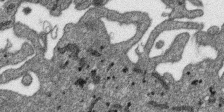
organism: Human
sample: Lung epithelial cells infected with SARS-CoV-2